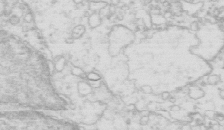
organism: Mouse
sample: Multiciliated cells